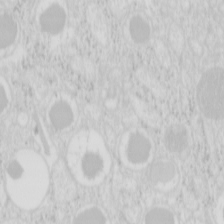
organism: Mouse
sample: Pancreas